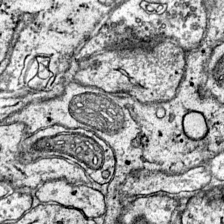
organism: Mouse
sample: Primary visual cortex